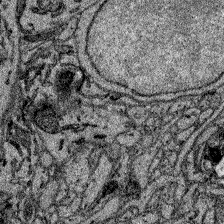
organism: Zebrafish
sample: Larval olfactory bulb